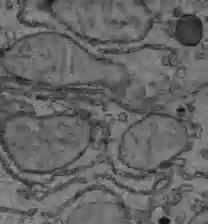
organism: C57BL Mouse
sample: Liver